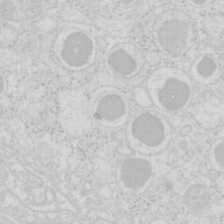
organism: Mouse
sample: Pancreas